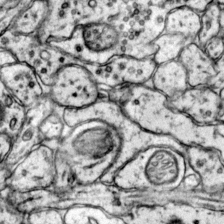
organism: Mouse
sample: Primary visual cortex